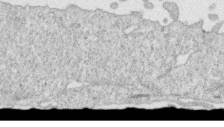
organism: Human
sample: HeLa cell HIV synapse